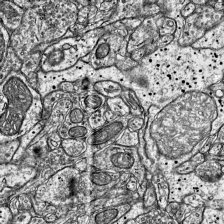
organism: Mouse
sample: Visual Cortex